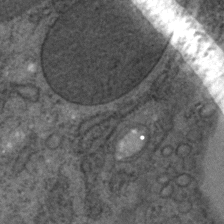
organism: C. elegans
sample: C. elegans embryo